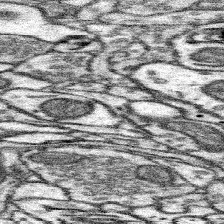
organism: Mouse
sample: Somatosensory cortex neuropil